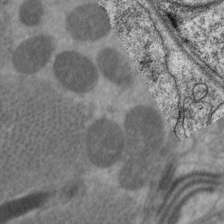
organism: C. elegans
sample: Pharynx